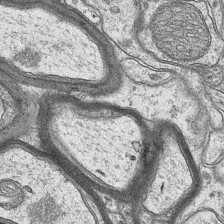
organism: Mouse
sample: CA1 Hippocampus